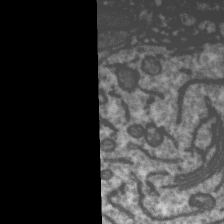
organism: Zebra finch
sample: Brain